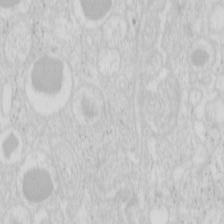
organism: Mouse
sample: Pancreas